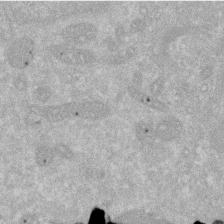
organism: Human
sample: HIV infected U937 cells